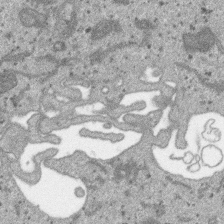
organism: Human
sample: Lung epithelial cells infected with SARS-CoV-2